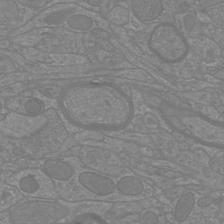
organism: Mouse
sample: Cortical neurons